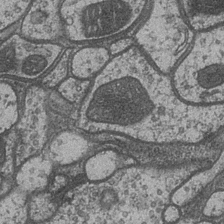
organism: Drosophila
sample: Optic medulla